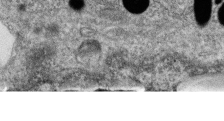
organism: Zebrafish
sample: Cilia; retinal pigment epithelium